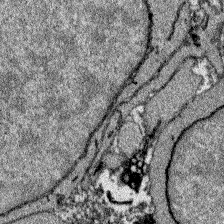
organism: Zebrafish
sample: Larval olfactory bulb